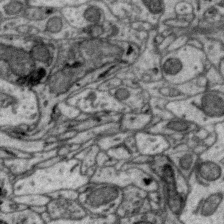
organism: Zebra finch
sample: Brain